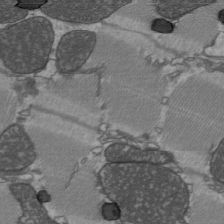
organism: C57BL Mouse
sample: Heart